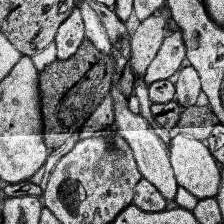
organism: Human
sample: Temporal Lobe